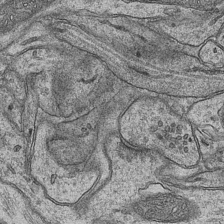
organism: Mouse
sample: CA1 Hippocampus